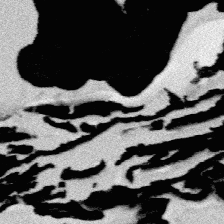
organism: Platynereis dumerilii